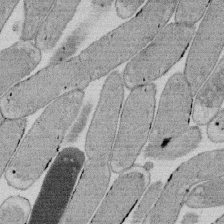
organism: E. coli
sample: Bacterial nucleoid